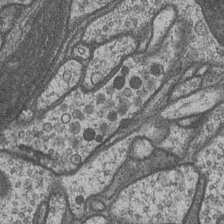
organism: Drosophila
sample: Optic medulla